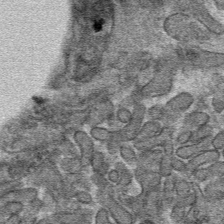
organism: Mouse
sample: Mouse hepatocytes